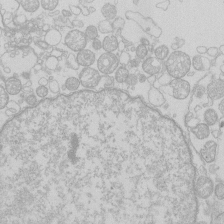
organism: Human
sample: Macrophage cells